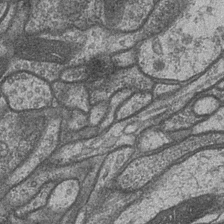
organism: Drosophila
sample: Optic medulla